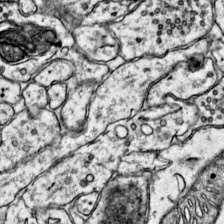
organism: Mouse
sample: Primary visual cortex